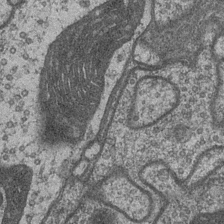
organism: Drosophila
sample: Optic medulla